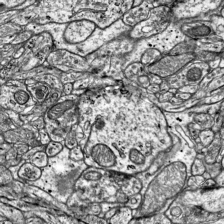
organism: Mouse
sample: Visual Cortex